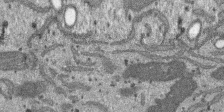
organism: Human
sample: Lung epithelial cells infected with SARS-CoV-2